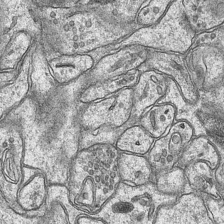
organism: Mouse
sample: CA1 Hippocampus